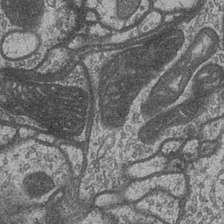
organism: Drosophila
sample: Optic medulla